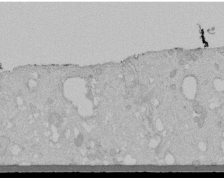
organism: Human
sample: Melanocyte Keratinocyte synapse skin construct